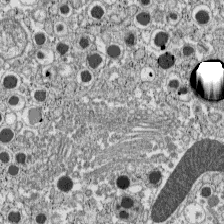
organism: C57BL Mouse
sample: Pancreatic islet